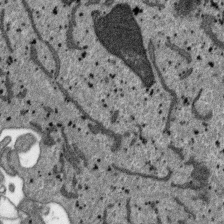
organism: Human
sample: Lung epithelial cells, uninfected (mock) control